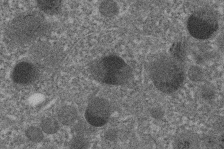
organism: C. elegans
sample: C. elegans embryo early stage